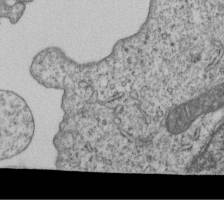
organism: Human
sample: MDA-MB-231 cells